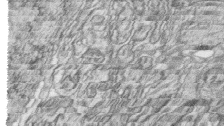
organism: Zebrafish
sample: synaptic ribbons in rod cells and cone cells